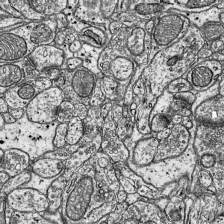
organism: Mouse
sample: Visual Cortex